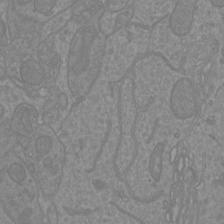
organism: Mouse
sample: Cortical neurons